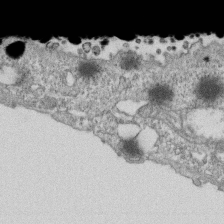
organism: Human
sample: HeLa cell HIV synapse